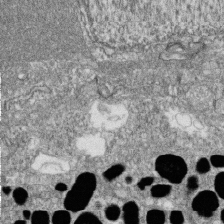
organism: Zebrafish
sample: Cilia; retinal pigment epithelium